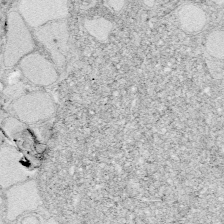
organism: Zebrafish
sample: Whole-Brain